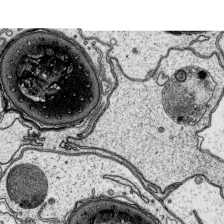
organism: Platynereis dumerilii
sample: Parapodia